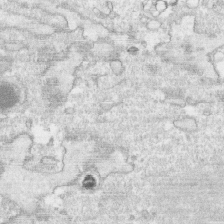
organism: Human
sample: CRL-1474